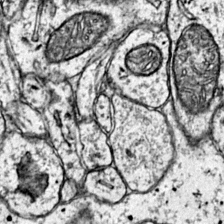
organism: Mouse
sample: Primary visual cortex